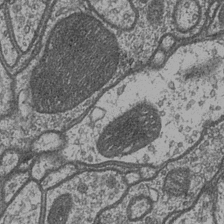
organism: Drosophila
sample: Optic medulla